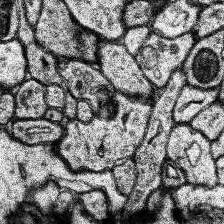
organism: Human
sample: Temporal Lobe